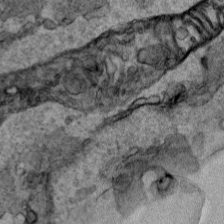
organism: Human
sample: Mitochondria in HCT116 cells